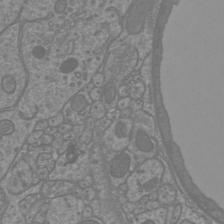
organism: Mouse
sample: Cortical neurons